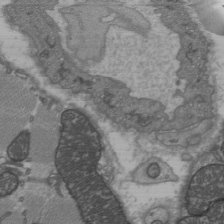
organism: C57BL Mouse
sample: Heart